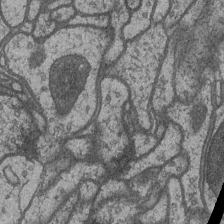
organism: Drosophila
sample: Optic medulla